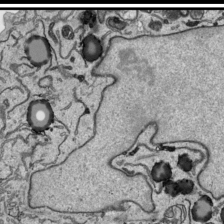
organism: Human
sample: Mitochondria in HCT116 cells